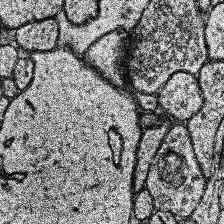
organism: Human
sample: Temporal Lobe